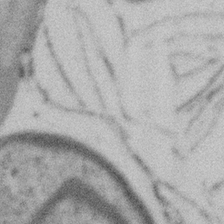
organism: Gemmata obscuriglobus